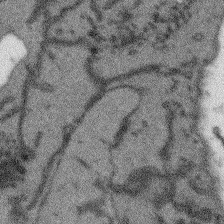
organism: Arabidopsis thaliana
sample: Root tip